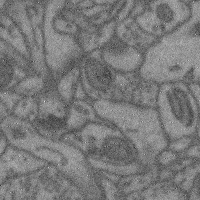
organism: Mouse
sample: Cerebral cortex